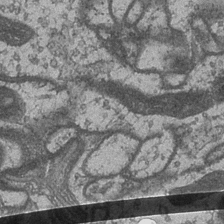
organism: Drosophila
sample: Optic medulla